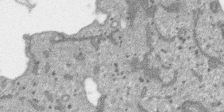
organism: Human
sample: Lung epithelial cells infected with SARS-CoV-2